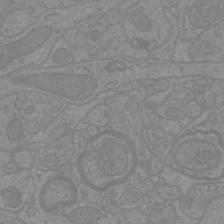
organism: Mouse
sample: Cortical neurons